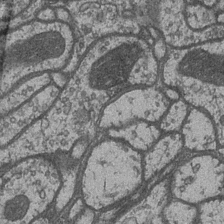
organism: Drosophila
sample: Optic medulla